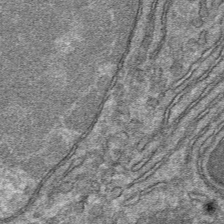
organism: Mouse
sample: Mouse hepatocytes